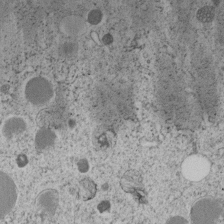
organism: C. elegans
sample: C. elegans embryo early stage